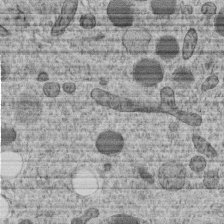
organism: C. elegans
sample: C. elegans embryo early stage